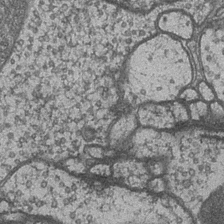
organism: Drosophila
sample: Optic medulla